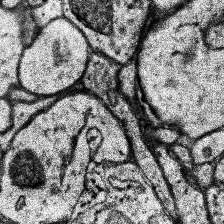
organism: Human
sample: Temporal Lobe